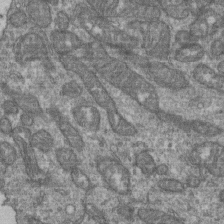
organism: Human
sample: Retinal organoid Rod and Cone cells